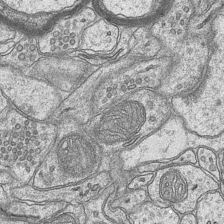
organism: Mouse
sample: CA1 Hippocampus